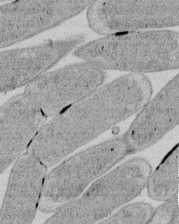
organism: E. coli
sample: Bacterial nucleoid